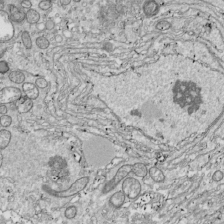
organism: Drosophila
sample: Cell division; meiosis; drosophila spermatocytes